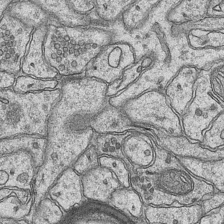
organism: Mouse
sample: CA1 Hippocampus